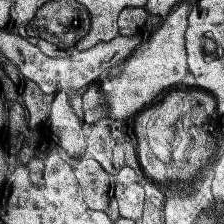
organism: Human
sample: Temporal Lobe